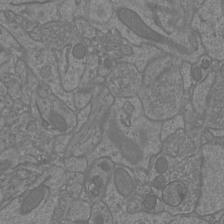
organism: Mouse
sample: Cortical neurons